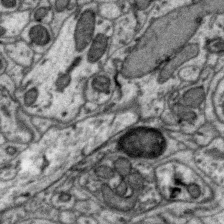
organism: Zebra finch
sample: Brain